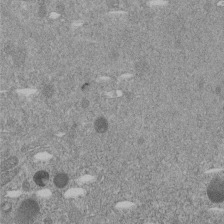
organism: C. elegans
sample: C. elegans embryo early stage